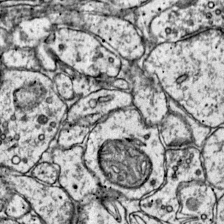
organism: Mouse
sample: Primary visual cortex